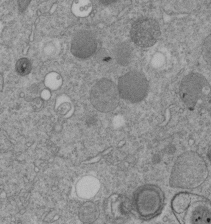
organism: C. elegans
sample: C. elegans embryo early stage